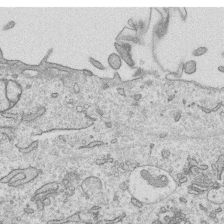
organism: Human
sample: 1205lu cells